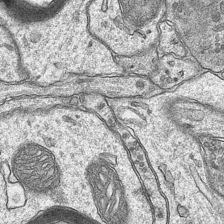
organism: Mouse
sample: CA1 Hippocampus